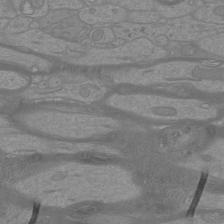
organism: Mouse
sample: Cortical neurons